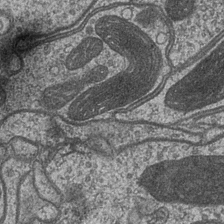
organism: Drosophila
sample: Optic medulla